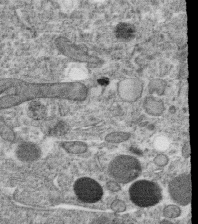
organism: C. elegans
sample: C. elegans oocyte; sperm cells